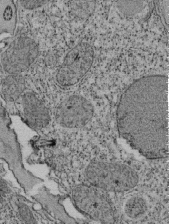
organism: Tetrahymena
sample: Cilia in tetrahymena